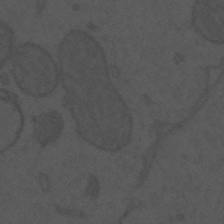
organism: Mouse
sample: Suprachiasmatic nucleus